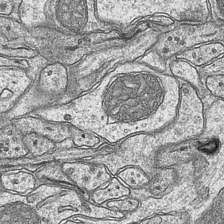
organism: Mouse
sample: CA1 Hippocampus